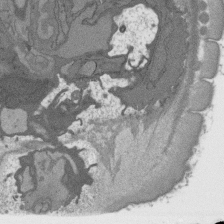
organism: C. elegans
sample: AFD neurons C. elegans